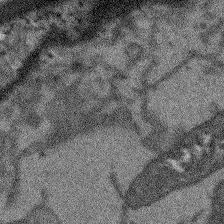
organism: Arabidopsis thaliana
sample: Root tip